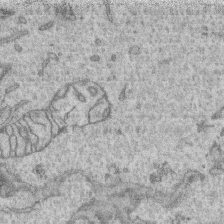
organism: Human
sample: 1205lu cells